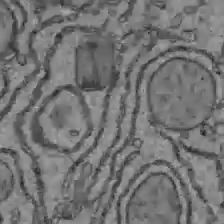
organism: C57BL Mouse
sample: Liver